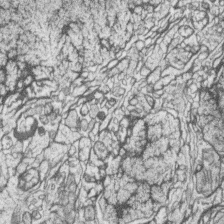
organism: Zebrafish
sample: synaptic ribbons in rod cells and cone cells